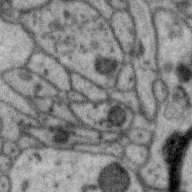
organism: Zebra finch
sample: Brain